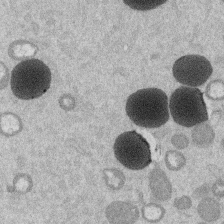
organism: Mouse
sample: Dividing mouse embryo 1 cell stage